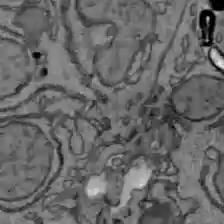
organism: C57BL Mouse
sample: Liver